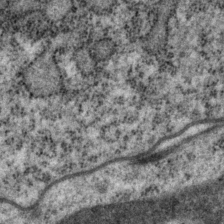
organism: P. pacificus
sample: Pharynx